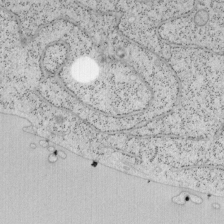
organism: Mouse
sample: OT-I killer T cells with ID8 ovarian cancer cells